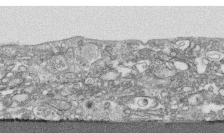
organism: Human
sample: CRL-1474